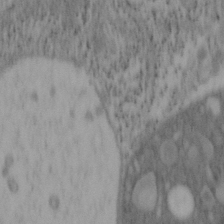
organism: Mouse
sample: OT-I killer T cells with ID8 ovarian cancer cells